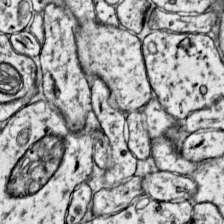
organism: Mouse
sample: Primary visual cortex